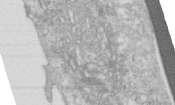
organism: Human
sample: Centriole in RPE cells